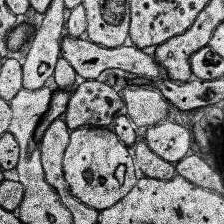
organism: Human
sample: Temporal Lobe